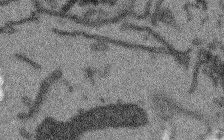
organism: Arabidopsis thaliana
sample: Root tip